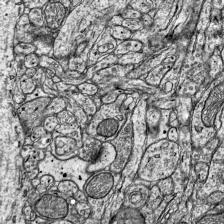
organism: Mouse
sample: Visual Cortex